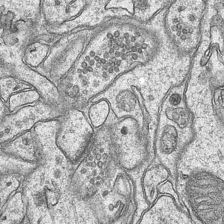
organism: Mouse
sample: CA1 Hippocampus